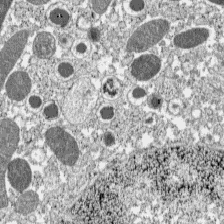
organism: C57BL Mouse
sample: Pancreatic islet